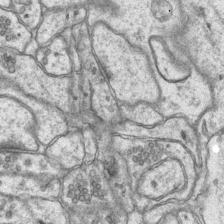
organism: Mouse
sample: CA1 Hippocampus